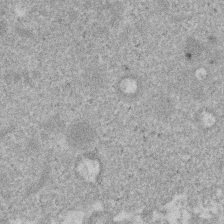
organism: Mouse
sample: Dividing mouse embryo 1 cell stage